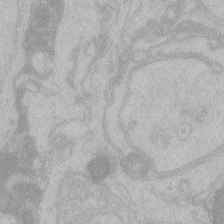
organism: Zebrafish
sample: Macrophage infected with Toxoplasma gondii